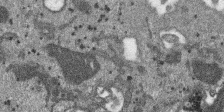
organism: Human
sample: Lung epithelial cells infected with SARS-CoV-2